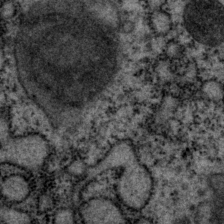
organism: P. pacificus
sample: Pharynx